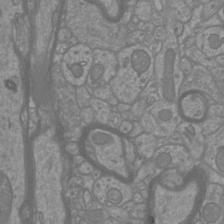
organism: Mouse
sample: Cortical neurons